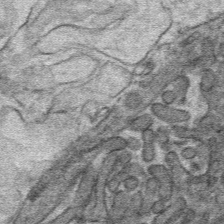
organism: Mouse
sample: Mouse hepatocytes